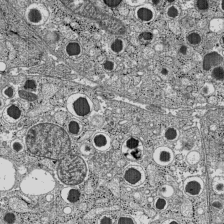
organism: C57BL Mouse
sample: Pancreatic islet